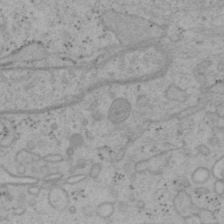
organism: Human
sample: HeLa cells